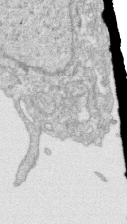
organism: Human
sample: HeLa cell HIV synapse